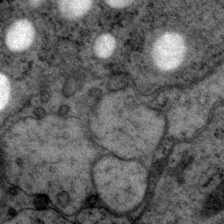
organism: P. pacificus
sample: Pharynx